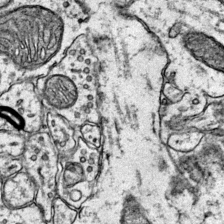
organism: Mouse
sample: Primary visual cortex